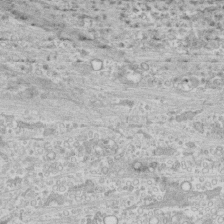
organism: Human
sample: CRL-1474